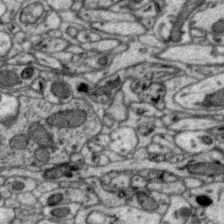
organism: Zebra finch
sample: Brain